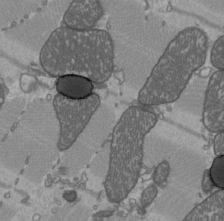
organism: C57BL Mouse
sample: Heart